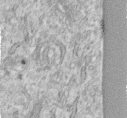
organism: Human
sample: Centriole in fibroblast cells